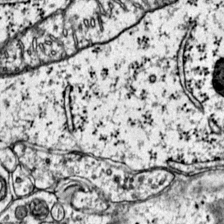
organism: Mouse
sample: Primary visual cortex